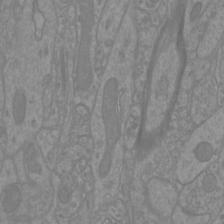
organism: Mouse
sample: Cortical neurons